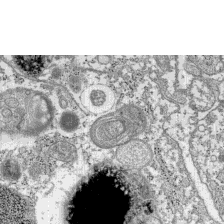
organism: C57BL Mouse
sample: Pancreatic islet